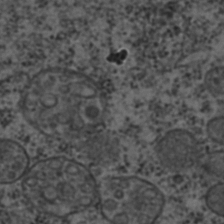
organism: C. elegans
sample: C. elegans embryo